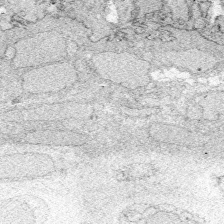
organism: Zebrafish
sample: Whole-Brain